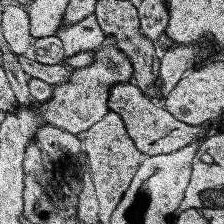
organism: Human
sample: Temporal Lobe